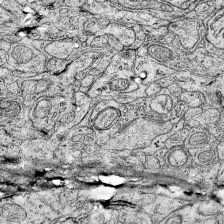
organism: Mouse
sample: Visual Cortex